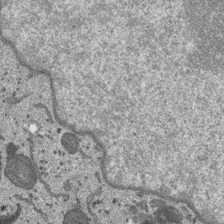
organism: Human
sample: Lung epithelial cells infected with SARS-CoV-2